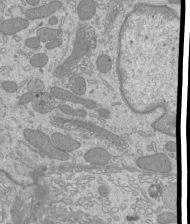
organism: Mouse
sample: Cilia; mouse epididymis